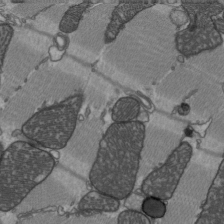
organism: C57BL Mouse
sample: Heart